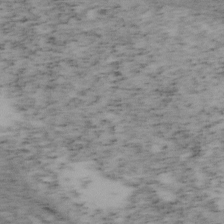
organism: Mouse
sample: OT-I killer T cells with ID8 ovarian cancer cells